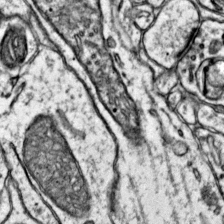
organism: Mouse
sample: Primary visual cortex